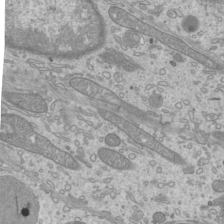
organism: Mouse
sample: Cilia; mouse epididymis